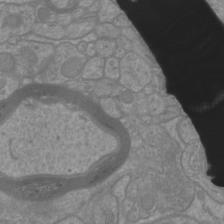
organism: Mouse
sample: Cortical neurons